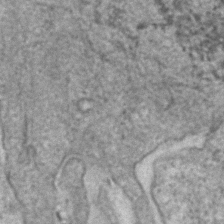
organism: Human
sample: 1205lu cells